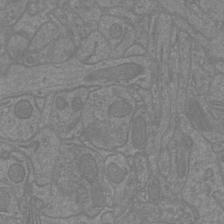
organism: Mouse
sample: Cortical neurons